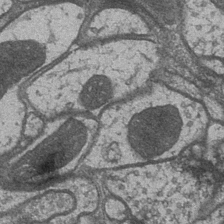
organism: Drosophila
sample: Optic medulla